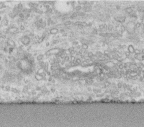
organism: Human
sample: Centriole in fibroblast cells